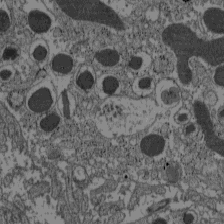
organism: C57BL Mouse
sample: Pancreatic islet